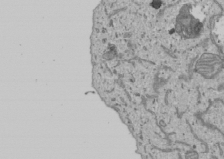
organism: Human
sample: Mitochondria in U2OS cells